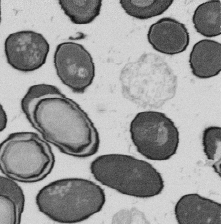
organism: B. subtilis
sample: Bacterial spore